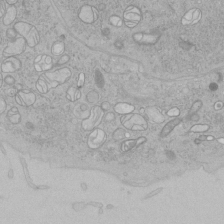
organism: Human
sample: Mitochondria in HCT116 cells